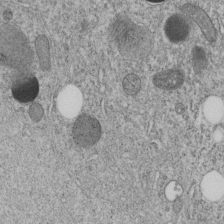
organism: C. elegans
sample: C. elegans embryo early stage